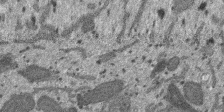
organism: Human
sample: Lung epithelial cells infected with SARS-CoV-2